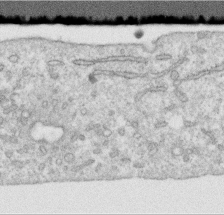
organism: Human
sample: Centriole in RPE cells